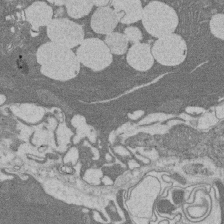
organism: Rat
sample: Salivary granule